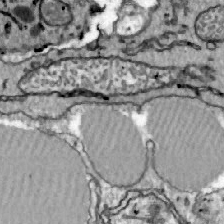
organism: Zebrafish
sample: Actinotrichia fibers